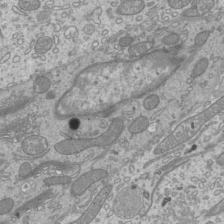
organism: Mouse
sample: Cilia; mouse epididymis